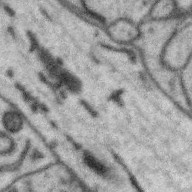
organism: Zebra finch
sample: Brain